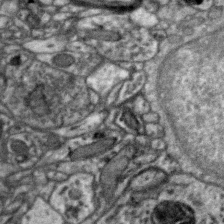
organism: Zebra finch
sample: Brain